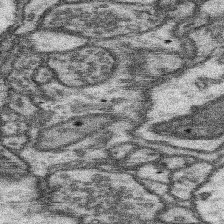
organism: Mouse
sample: Somatosensory cortex neuropil